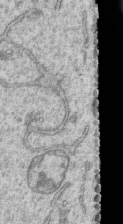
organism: Human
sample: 1205lu cells